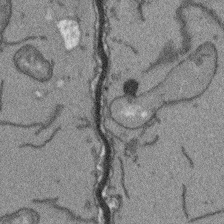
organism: Arabidopsis thaliana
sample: Root tip